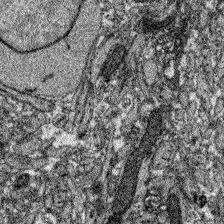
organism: Zebrafish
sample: Larval olfactory bulb